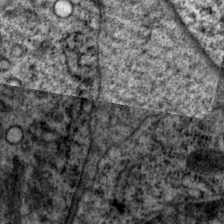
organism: P. pacificus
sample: Pharynx